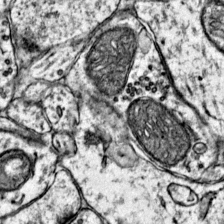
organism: Mouse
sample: Primary visual cortex